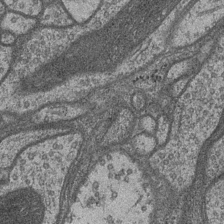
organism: Drosophila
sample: Optic medulla